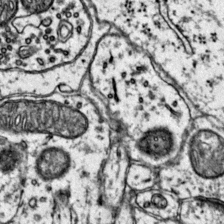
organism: Mouse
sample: Primary visual cortex